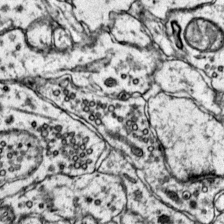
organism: Mouse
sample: Primary visual cortex